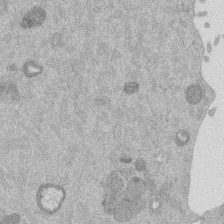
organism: Mouse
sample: Dividing mouse embryo 1 cell stage